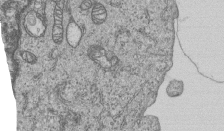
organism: Human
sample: MDA-MB-231 cells